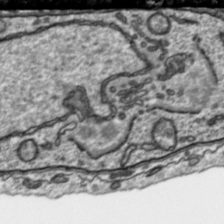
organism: Toxoplasma gondii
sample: Parasites in a vacuole inside a host cell